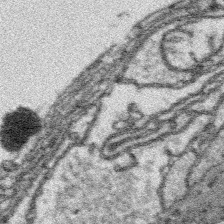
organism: Platynereis dumerilii